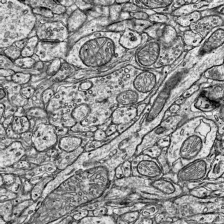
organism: Mouse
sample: Visual Cortex